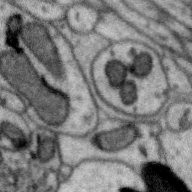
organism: Zebra finch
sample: Brain